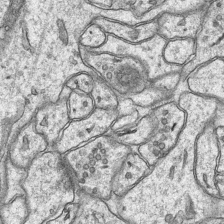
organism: Mouse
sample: CA1 Hippocampus